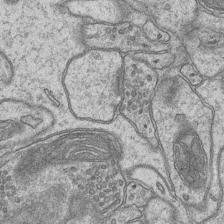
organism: Mouse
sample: CA1 Hippocampus